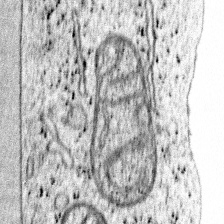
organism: Human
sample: HeLa cells